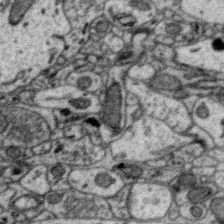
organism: Zebra finch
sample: Brain